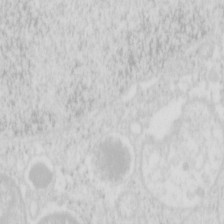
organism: Mouse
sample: Pancreas